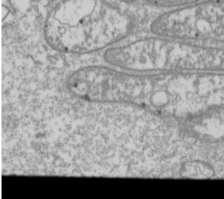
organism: Drosophila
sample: Cell division; meiosis; drosophila spermatocytes